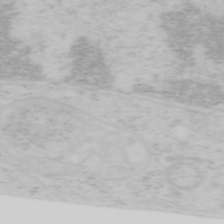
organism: Mouse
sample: OT-I killer T cells with ID8 ovarian cancer cells